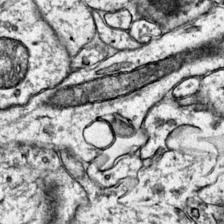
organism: Mouse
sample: Primary visual cortex